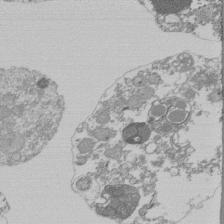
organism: Mouse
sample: Activated Pmel transgenic CD8+ T Cells